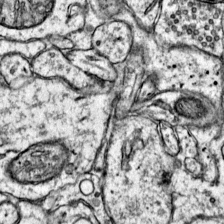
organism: Mouse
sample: Primary visual cortex